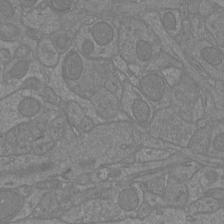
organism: Mouse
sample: Cortical neurons